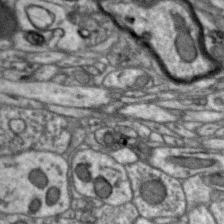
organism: Zebra finch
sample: Brain